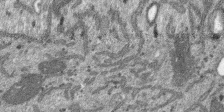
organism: Human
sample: Lung epithelial cells infected with SARS-CoV-2